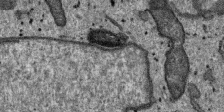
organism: Human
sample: Lung epithelial cells, uninfected (mock) control